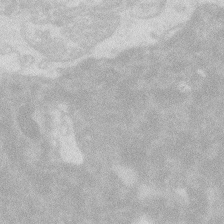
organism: Zebrafish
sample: Macrophage